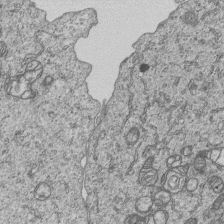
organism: Human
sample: MDA-MB-231 cells